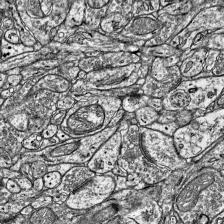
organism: Mouse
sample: Visual Cortex